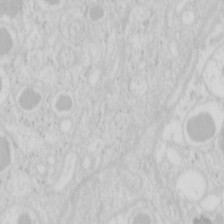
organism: Mouse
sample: Pancreas